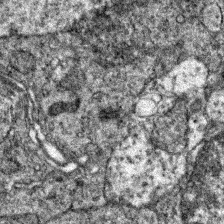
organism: Zebrafish